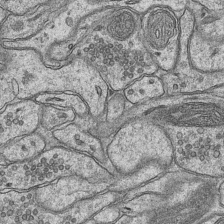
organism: Mouse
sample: CA1 Hippocampus